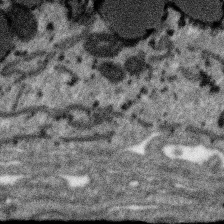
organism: Human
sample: Lung epithelial cells infected with SARS-CoV-2